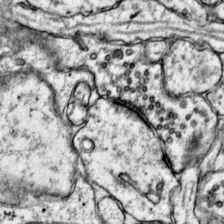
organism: Mouse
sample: Primary visual cortex